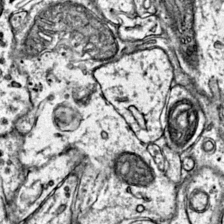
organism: Mouse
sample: Primary visual cortex